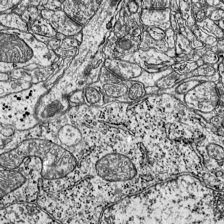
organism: Mouse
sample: Visual Cortex